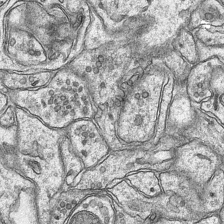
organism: Mouse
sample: CA1 Hippocampus